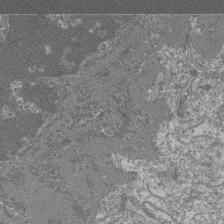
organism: Mouse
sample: Glomerulus